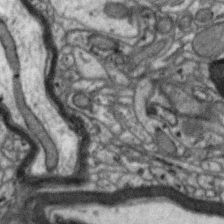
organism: Zebra finch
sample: Brain